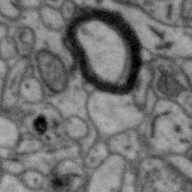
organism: Zebra finch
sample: Brain